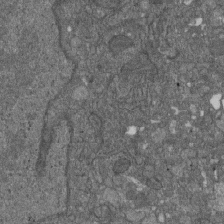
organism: Drosophila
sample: Nephrocyte